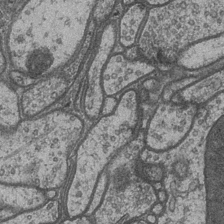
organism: Drosophila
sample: Optic medulla